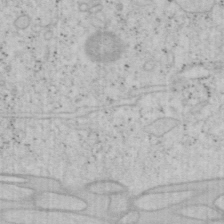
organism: Human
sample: HeLa cells